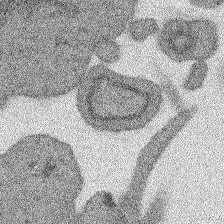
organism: Human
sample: HeLa cells